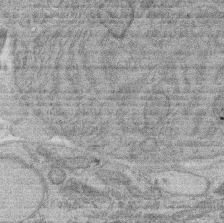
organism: Rat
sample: Salivary granule